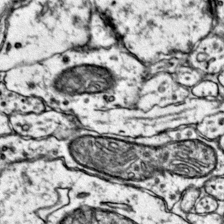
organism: Mouse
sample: Primary visual cortex